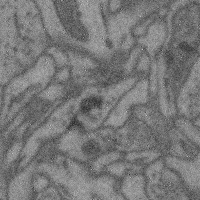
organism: Mouse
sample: Cerebral cortex